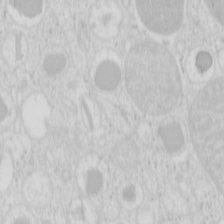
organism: Mouse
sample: Pancreas